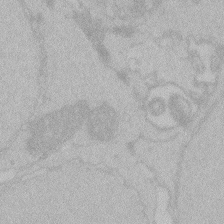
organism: Zebrafish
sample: Macrophage infected with Toxoplasma gondii